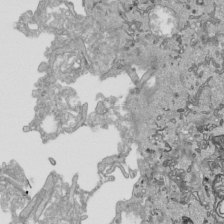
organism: Human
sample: Mitochondria in HCT116 cells